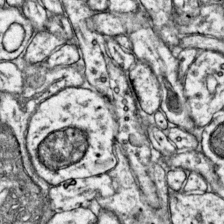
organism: Mouse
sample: Primary visual cortex